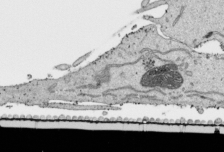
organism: Human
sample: Mitochondria in HCT116 cells